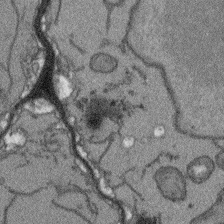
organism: Arabidopsis thaliana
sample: Root tip